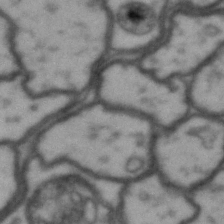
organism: Drosophila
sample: Brain